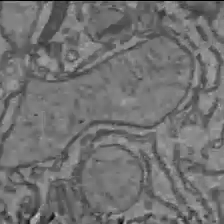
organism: C57BL Mouse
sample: Liver